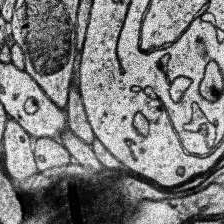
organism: Human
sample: Temporal Lobe